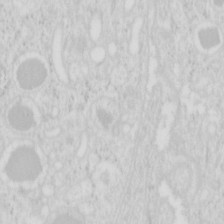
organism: Mouse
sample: Pancreas